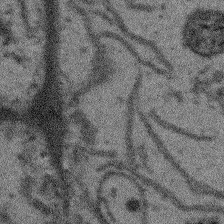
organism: Arabidopsis thaliana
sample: Root tip